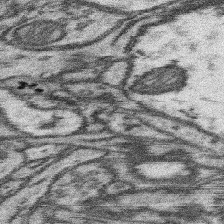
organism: Mouse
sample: Somatosensory cortex neuropil